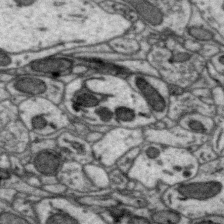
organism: Zebra finch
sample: Brain